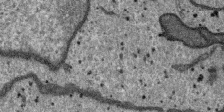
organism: Human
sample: Lung epithelial cells, uninfected (mock) control